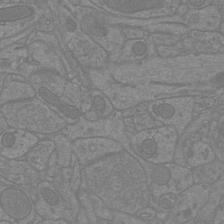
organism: Mouse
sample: Cortical neurons